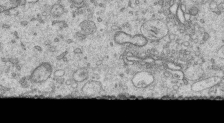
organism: Human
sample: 1205lu cells